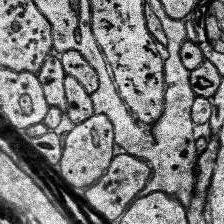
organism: Human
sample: Temporal Lobe